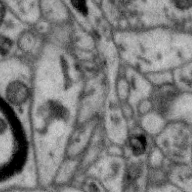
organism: Zebra finch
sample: Brain